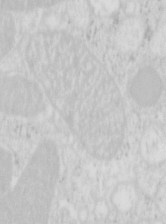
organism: Mouse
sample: Pancreas